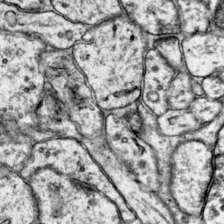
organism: Mouse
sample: Primary visual cortex